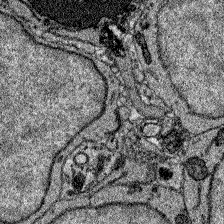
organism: Zebrafish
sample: Larval olfactory bulb